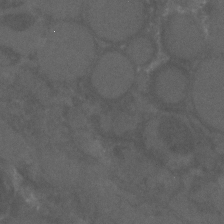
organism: C. elegans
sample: C. elegans embryo